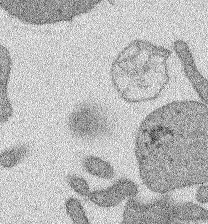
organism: Human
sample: HeLa cells